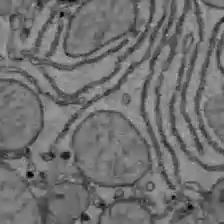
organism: C57BL Mouse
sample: Liver